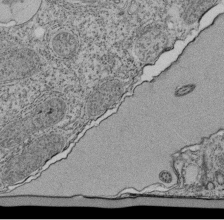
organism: Tetrahymena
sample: Cilia in tetrahymena